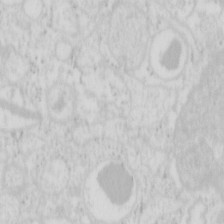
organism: Mouse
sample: Pancreas